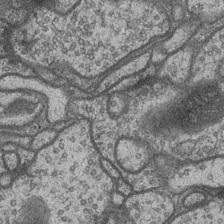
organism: Drosophila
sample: Optic medulla